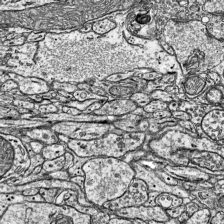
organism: Mouse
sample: Visual Cortex